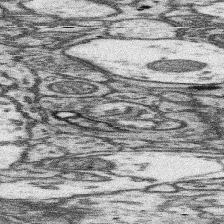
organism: Mouse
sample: Somatosensory cortex neuropil